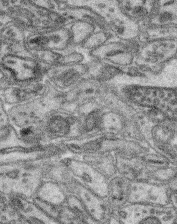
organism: Mouse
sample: Retina